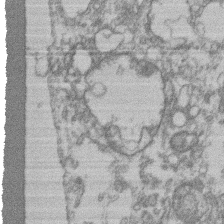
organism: Mouse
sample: T cell stromal cell synapse